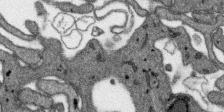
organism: Human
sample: Lung epithelial cells, uninfected (mock) control